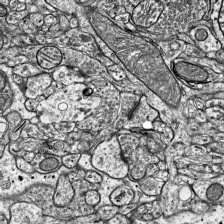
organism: Mouse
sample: Visual Cortex